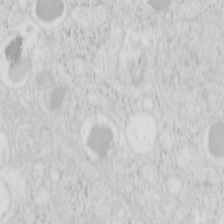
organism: Mouse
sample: Pancreas